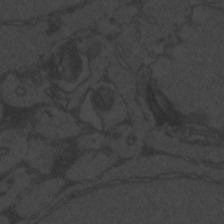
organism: Zebrafish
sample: Macrophage infected with Toxoplasma gondii